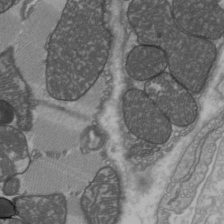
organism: C57BL Mouse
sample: Heart